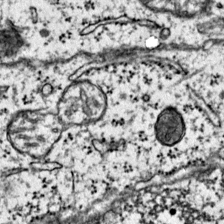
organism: Mouse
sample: Primary visual cortex